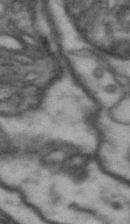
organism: Drosophila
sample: Brain